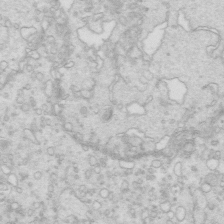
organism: Mouse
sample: Multiciliated cells